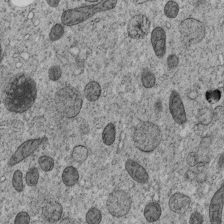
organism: C. elegans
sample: C. elegans embryo early stage